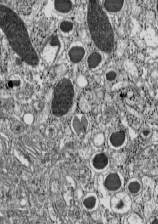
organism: C57BL Mouse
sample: Pancreatic islet